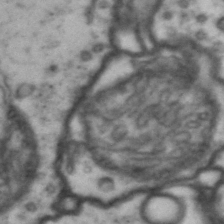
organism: Drosophila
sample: Brain